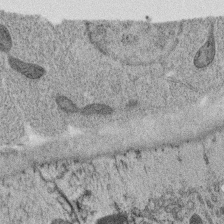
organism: C. elegans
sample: C. elegans oocyte; sperm cells